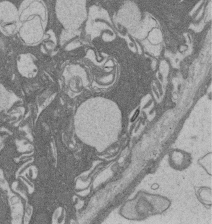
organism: Rat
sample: Salivary granule